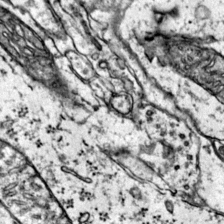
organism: Mouse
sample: Primary visual cortex